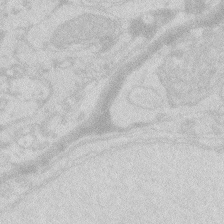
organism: Zebrafish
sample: Macrophage